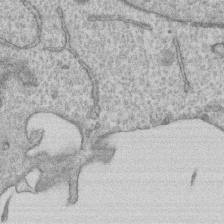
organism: Human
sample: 1205lu cells